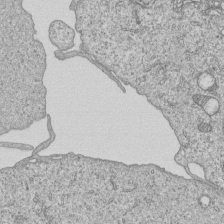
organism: Human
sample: MDA-MB-231 cells